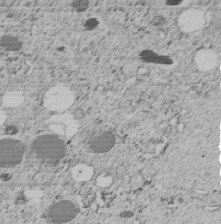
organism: C. elegans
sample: C. elegans embryo early stage